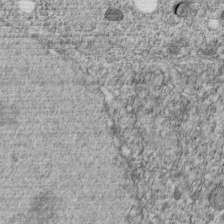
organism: C. elegans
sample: C. elegans embryo early stage